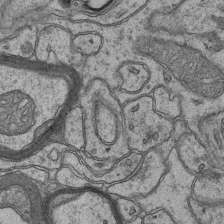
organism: Mouse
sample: CA1 Hippocampus